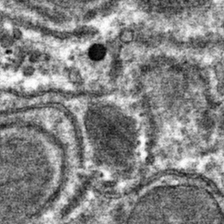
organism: Mouse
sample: Mouse hepatocytes